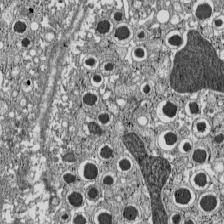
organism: C57BL Mouse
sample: Pancreatic islet